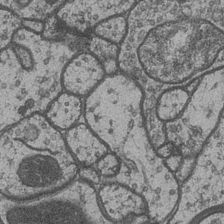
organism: Drosophila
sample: Optic medulla